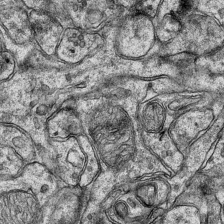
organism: Mouse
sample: CA1 Hippocampus